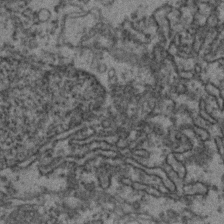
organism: Zebrafish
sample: Zebrafish embryo